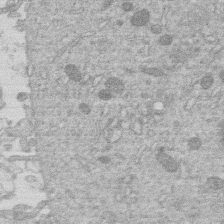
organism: Human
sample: Macrophage cells